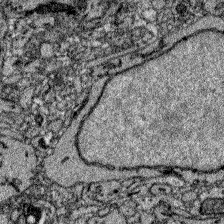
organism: Zebrafish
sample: Larval olfactory bulb